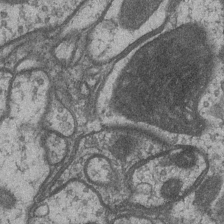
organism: Drosophila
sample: Optic medulla